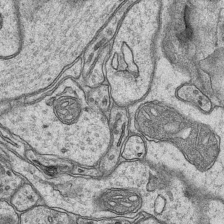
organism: Mouse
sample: CA1 Hippocampus